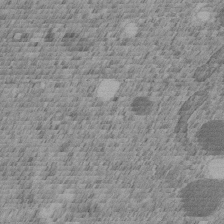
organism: C. elegans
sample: C. elegans embryo early stage